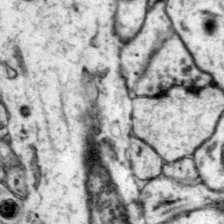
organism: Mouse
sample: Primary visual cortex